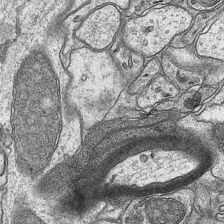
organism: Mouse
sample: CA1 Hippocampus